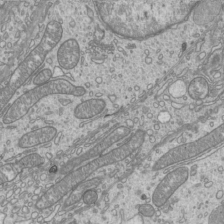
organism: Mouse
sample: Cilia; mouse epididymis